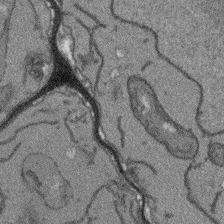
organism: Arabidopsis thaliana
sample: Root tip